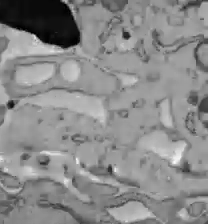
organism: C57BL Mouse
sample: Liver